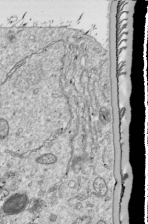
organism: Drosophila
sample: Cell division; meiosis; drosophila spermatocytes